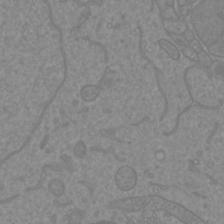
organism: Mouse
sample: Cortical neurons